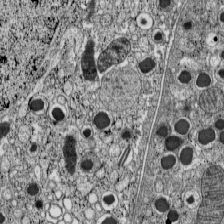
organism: C57BL Mouse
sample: Pancreatic islet